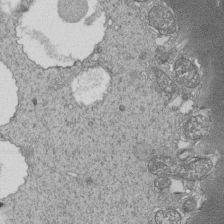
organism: Tetrahymena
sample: Cilia in tetrahymena